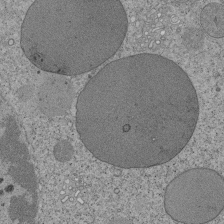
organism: Tetrahymena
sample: Cilia in tetrahymena